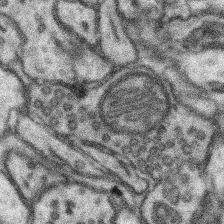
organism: Mouse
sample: Somatosensory cortex neuropil